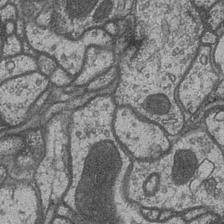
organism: Drosophila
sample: Optic medulla